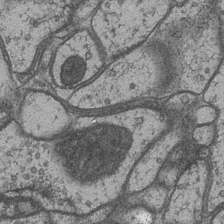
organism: Drosophila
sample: Optic medulla